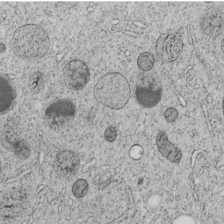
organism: C. elegans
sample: C. elegans embryo early stage